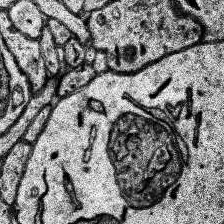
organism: Human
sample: Temporal Lobe